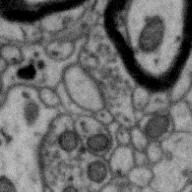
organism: Zebra finch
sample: Brain